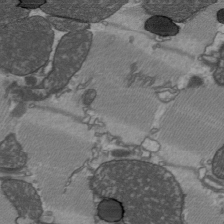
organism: C57BL Mouse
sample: Heart